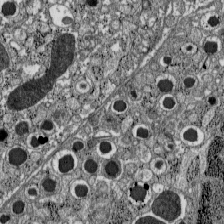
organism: C57BL Mouse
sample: Pancreatic islet